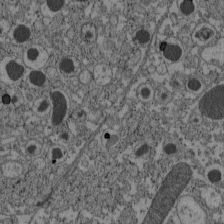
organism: C57BL Mouse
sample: Pancreatic islet